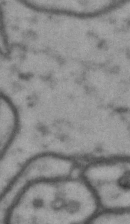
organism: Drosophila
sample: Brain